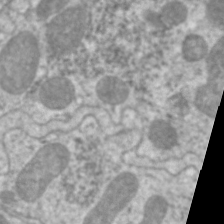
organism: C. elegans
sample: Pharynx